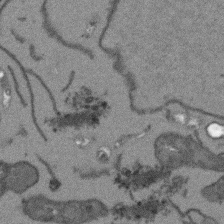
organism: Arabidopsis thaliana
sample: Root tip